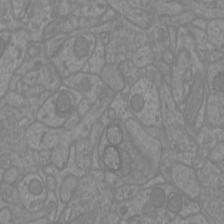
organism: Mouse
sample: Cortical neurons